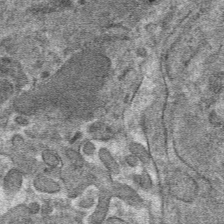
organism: Mouse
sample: Mouse hepatocytes